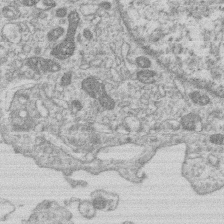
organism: Human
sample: Macrophage cells